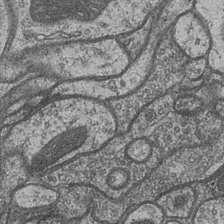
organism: Drosophila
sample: Optic medulla